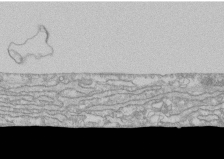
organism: Human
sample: CRL-1474